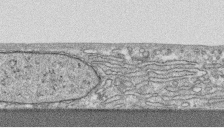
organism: Human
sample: CRL-1474